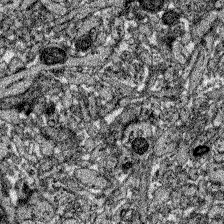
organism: Zebrafish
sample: Larval olfactory bulb